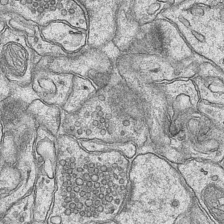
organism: Mouse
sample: CA1 Hippocampus